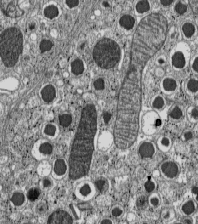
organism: C57BL Mouse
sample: Pancreatic islet